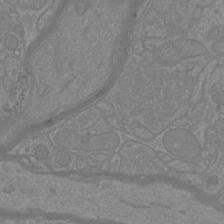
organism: Mouse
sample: Cortical neurons